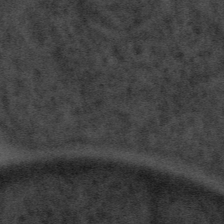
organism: Tuwongella immobilis